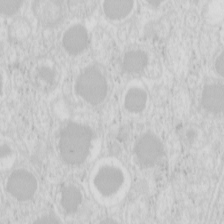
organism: Mouse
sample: Pancreas